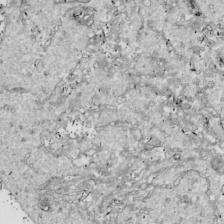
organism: Drosophila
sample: Cell division; meiosis; drosophila spermatocytes